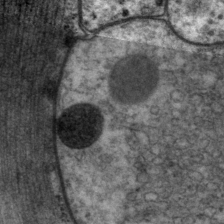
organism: P. pacificus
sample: Pharynx